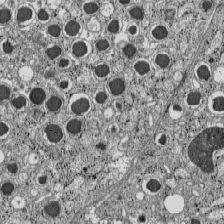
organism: C57BL Mouse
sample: Pancreatic islet